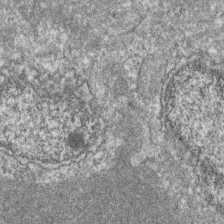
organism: Zebrafish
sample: Cilia; retinal pigment epithelium